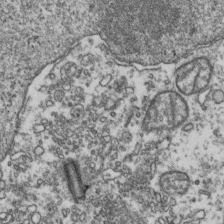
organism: Human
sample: Activated Jurkat CD4+ T cells